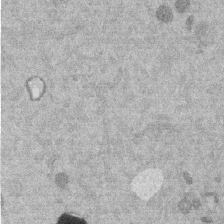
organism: Mouse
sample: Dividing mouse embryo 1 cell stage